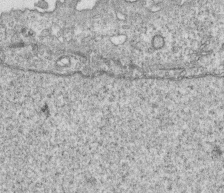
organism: Human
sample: HeLa cell HIV synapse